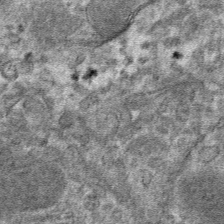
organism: Mouse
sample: Mouse hepatocytes